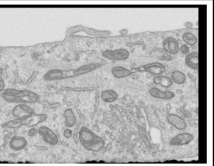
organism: Human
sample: Centriole in RPE cells